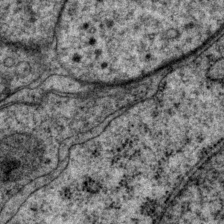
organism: P. pacificus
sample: Pharynx